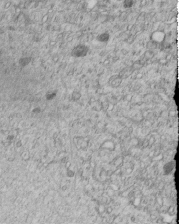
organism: C. elegans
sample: C. elegans embryo early stage